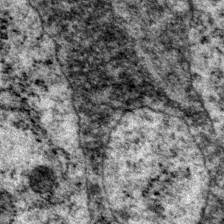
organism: P. pacificus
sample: Pharynx